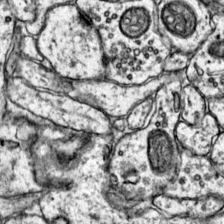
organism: Mouse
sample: Primary visual cortex